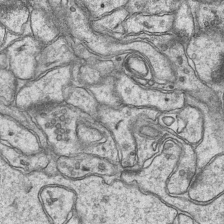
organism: Mouse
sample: CA1 Hippocampus